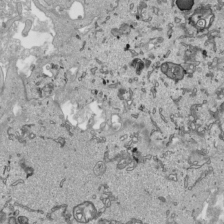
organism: Human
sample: Mitochondria in HCT116 cells